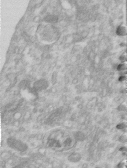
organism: Human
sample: Centriole in RPE cells